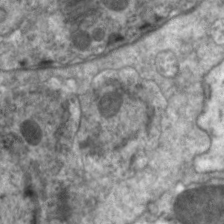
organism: C. elegans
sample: Pharynx